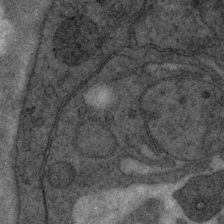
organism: P. pacificus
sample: Pharynx